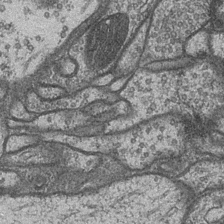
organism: Drosophila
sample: Optic medulla